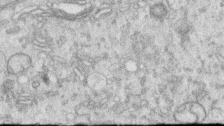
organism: Human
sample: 1205lu cells